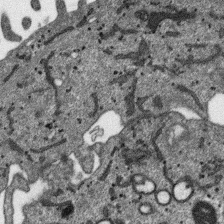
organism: Human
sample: Lung epithelial cells infected with SARS-CoV-2